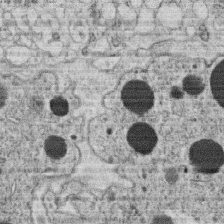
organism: C. elegans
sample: C. elegans oocyte; sperm cells